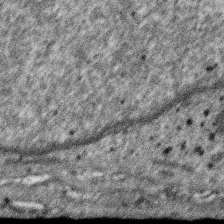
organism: Human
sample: Lung epithelial cells infected with SARS-CoV-2